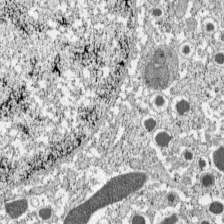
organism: C57BL Mouse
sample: Pancreatic islet